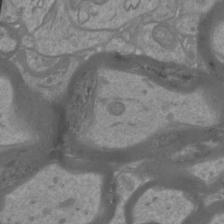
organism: Mouse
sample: Cortical neurons